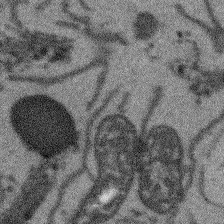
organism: Arabidopsis thaliana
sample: Root tip